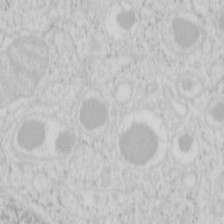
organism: Mouse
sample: Pancreas